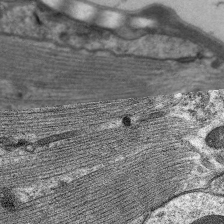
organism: C. elegans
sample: Pharynx